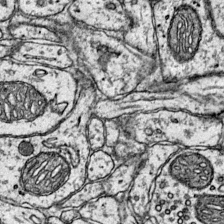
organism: Mouse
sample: Primary visual cortex